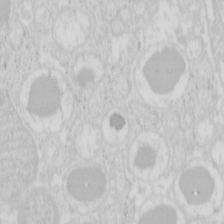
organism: Mouse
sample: Pancreas